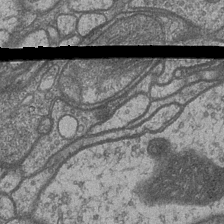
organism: Drosophila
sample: Optic medulla